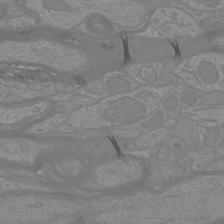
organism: Mouse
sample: Cortical neurons